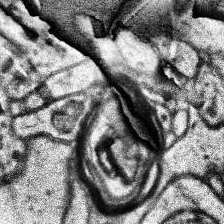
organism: Human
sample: Temporal Lobe